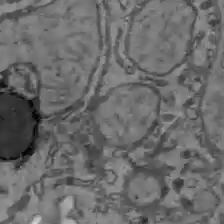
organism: C57BL Mouse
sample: Liver